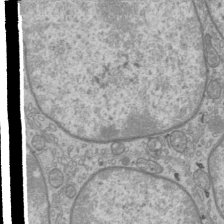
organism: Mouse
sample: Cilia; mouse epididymis